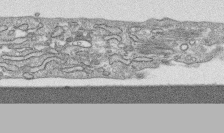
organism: Human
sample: CRL-1474